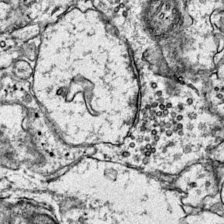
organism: Mouse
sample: Primary visual cortex